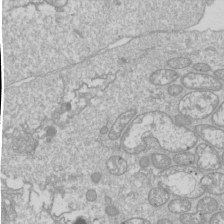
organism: Drosophila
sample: Cell division; meiosis; drosophila spermatocytes